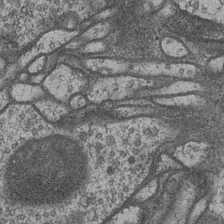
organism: Drosophila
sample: Optic medulla